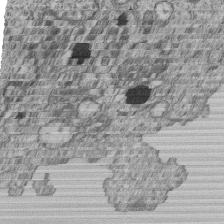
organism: Human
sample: MDA-MB-231 cells